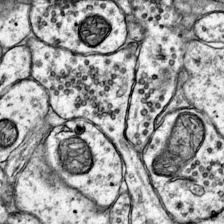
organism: Mouse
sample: Primary visual cortex